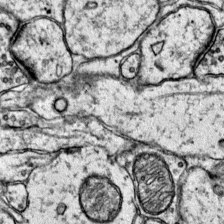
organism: Mouse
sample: Primary visual cortex